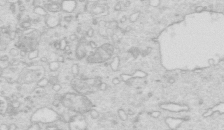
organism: Mouse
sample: Multiciliated cells